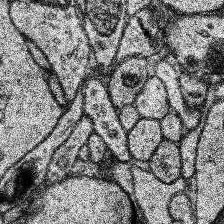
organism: Human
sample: Temporal Lobe